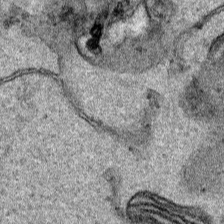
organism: Human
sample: Mitochondria in HCT116 cells